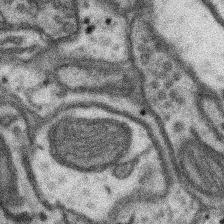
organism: Mouse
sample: Somatosensory cortex neuropil